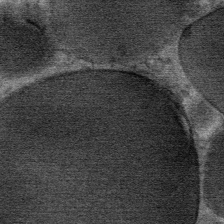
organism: Mouse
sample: Mouse Salivary gland